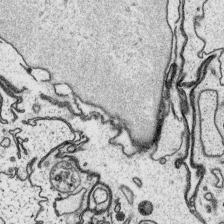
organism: Platynereis dumerilii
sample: Parapodia